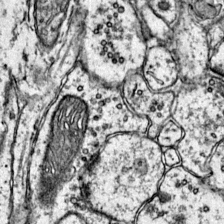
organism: Mouse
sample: Primary visual cortex